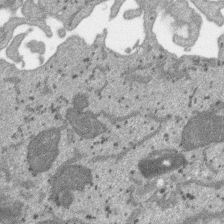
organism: Human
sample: Lung epithelial cells infected with SARS-CoV-2